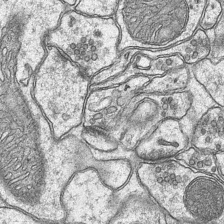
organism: Mouse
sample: CA1 Hippocampus